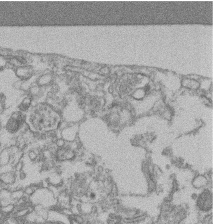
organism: Mouse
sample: T cell stromal cell synapse